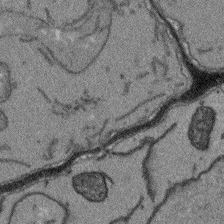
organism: Arabidopsis thaliana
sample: Root tip